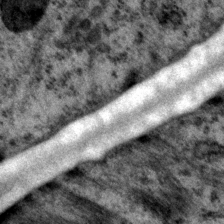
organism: P. pacificus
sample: Pharynx